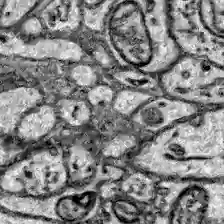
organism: Zebrafish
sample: Brain